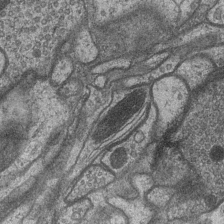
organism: Drosophila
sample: Optic medulla